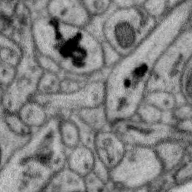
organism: Zebra finch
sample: Brain